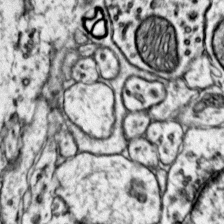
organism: Mouse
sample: Primary visual cortex